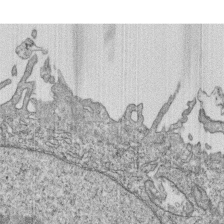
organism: Human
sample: HeLa cell HIV synapse